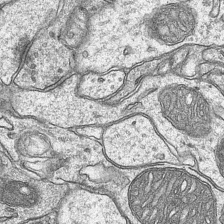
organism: Mouse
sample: CA1 Hippocampus